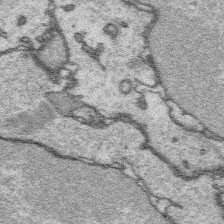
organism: Platynereis dumerilii